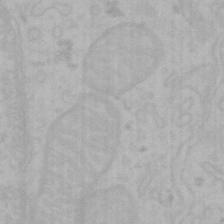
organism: Mouse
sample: Choroid plexus